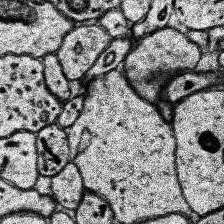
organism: Human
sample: Temporal Lobe